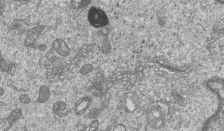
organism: Human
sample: MDA-MB-231 cells